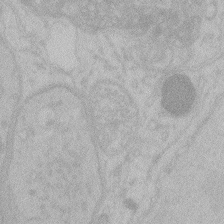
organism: Zebrafish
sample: Macrophage infected with Toxoplasma gondii